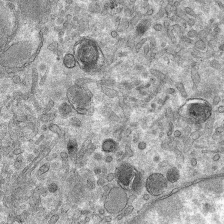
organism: Mouse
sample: Mouse hepatocytes